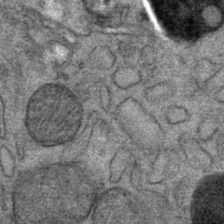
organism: Mouse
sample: Mouse Salivary gland